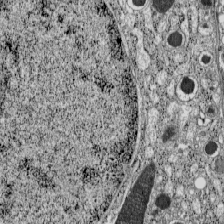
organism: C57BL Mouse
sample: Pancreatic islet